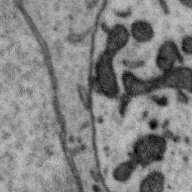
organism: Zebra finch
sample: Brain